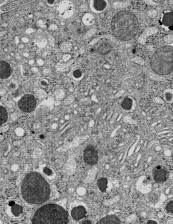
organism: C57BL Mouse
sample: Pancreatic islet